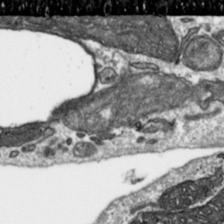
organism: Toxoplasma gondii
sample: Parasites in a vacuole inside a host cell